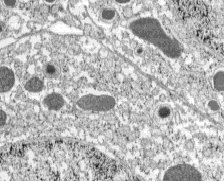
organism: C57BL Mouse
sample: Pancreatic islet